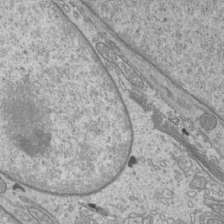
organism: Mouse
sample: Cilia; mouse epididymis